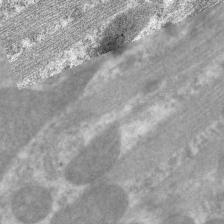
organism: C. elegans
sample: Pharynx